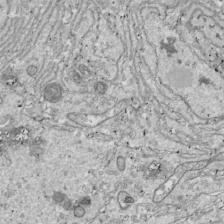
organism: Drosophila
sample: Cell division; meiosis; drosophila spermatocytes